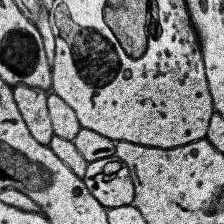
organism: Human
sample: Temporal Lobe